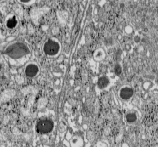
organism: C57BL Mouse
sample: Pancreatic islet